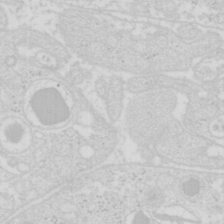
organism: Mouse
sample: Pancreas